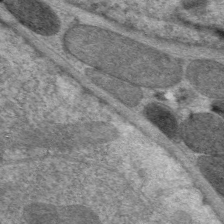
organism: C. elegans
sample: Pharynx